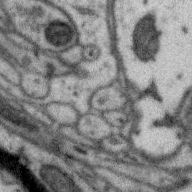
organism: Zebra finch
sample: Brain